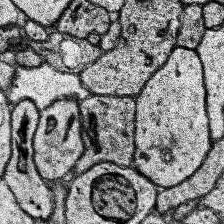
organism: Human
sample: Temporal Lobe